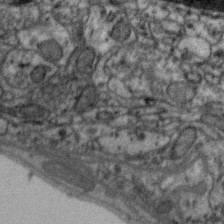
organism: Zebra finch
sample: Brain